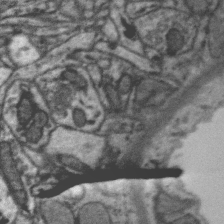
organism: Zebra finch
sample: Brain